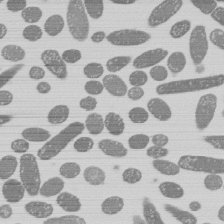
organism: E. coli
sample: Bacterial nucleoid